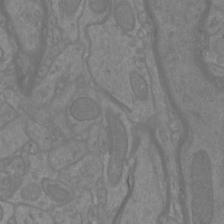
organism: Mouse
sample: Cortical neurons